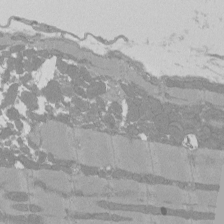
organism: Rat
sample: Left ventricle